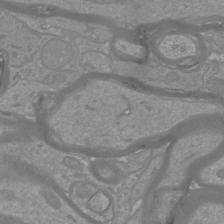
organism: Mouse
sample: Cortical neurons